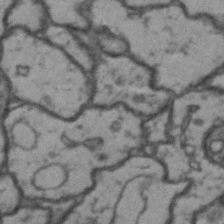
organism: Drosophila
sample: Brain